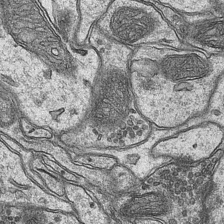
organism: Mouse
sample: CA1 Hippocampus